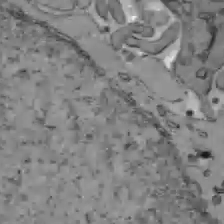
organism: C57BL Mouse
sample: Liver